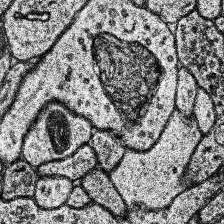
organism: Human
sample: Temporal Lobe